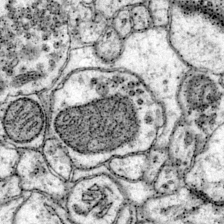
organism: Mouse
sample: Primary visual cortex